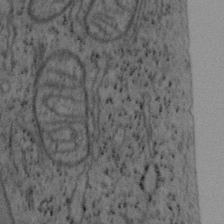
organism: Human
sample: HeLa cells